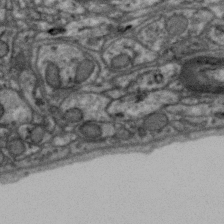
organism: Zebra finch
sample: Brain